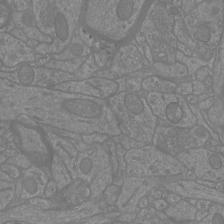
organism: Mouse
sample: Cortical neurons